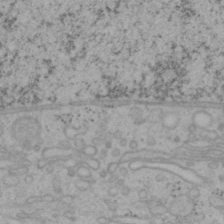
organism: Human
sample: HeLa cells